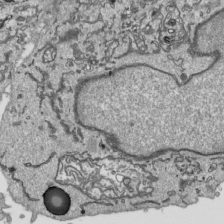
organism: Human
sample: Mitochondria in HCT116 cells